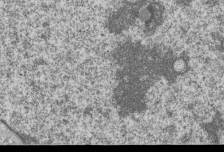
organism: Human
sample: MDA-MB-231 cells